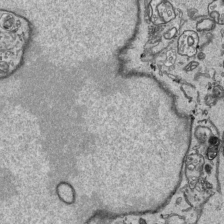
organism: Human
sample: Mitochondria in HCT116 cells